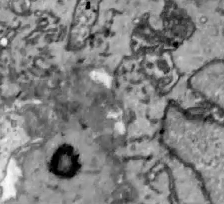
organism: Zebrafish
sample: Actinotrichia fibers